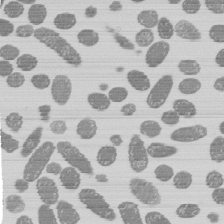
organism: E. coli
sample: Bacterial nucleoid